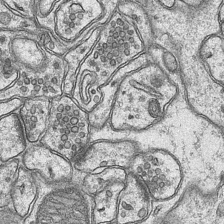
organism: Mouse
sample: CA1 Hippocampus